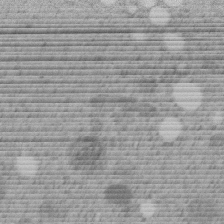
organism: C. elegans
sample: C. elegans embryo early stage